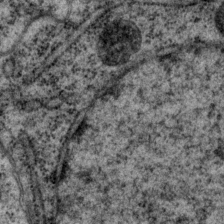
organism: P. pacificus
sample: Pharynx